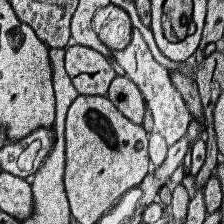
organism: Human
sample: Temporal Lobe